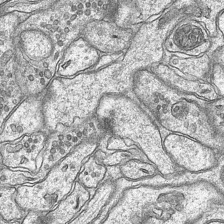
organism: Mouse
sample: CA1 Hippocampus